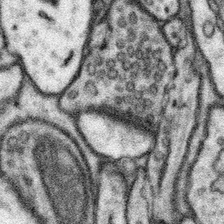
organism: Mouse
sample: Somatosensory cortex neuropil